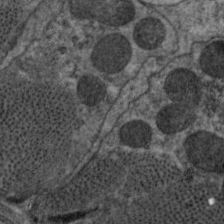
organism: C. elegans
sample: Pharynx